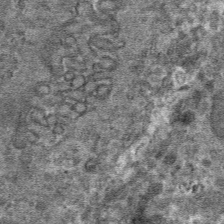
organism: Mouse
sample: Mouse hepatocytes